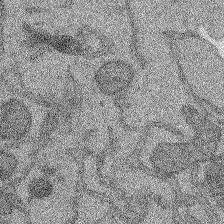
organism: Human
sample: HeLa cells